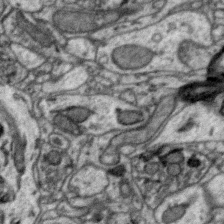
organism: Zebra finch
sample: Brain